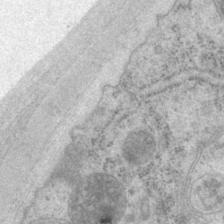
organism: P. pacificus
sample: Pharynx